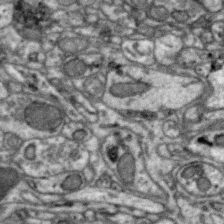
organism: Zebra finch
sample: Brain